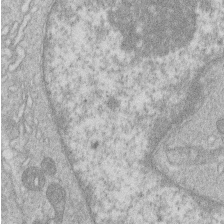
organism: Human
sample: Macrophage cells